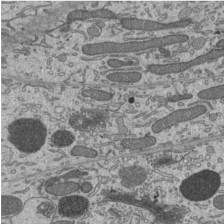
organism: Mouse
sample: Mouse epididymis efferent ductule cilia